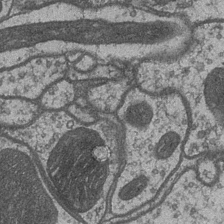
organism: Drosophila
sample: Optic medulla